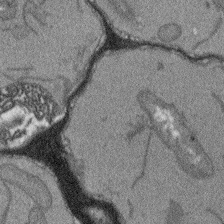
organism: Arabidopsis thaliana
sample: Root tip